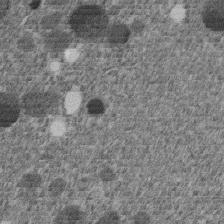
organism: C. elegans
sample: C. elegans embryo early stage